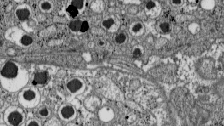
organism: C57BL Mouse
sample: Pancreatic islet